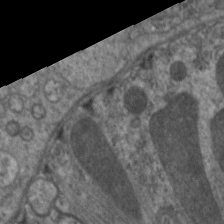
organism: C. elegans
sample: Pharynx